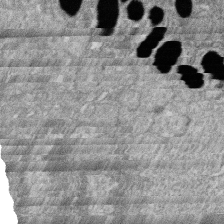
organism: Zebrafish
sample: Cilia; retinal pigment epithelium